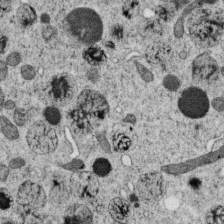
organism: C. elegans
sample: C. elegans oocyte; sperm cells